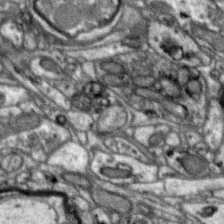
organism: Zebra finch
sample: Brain